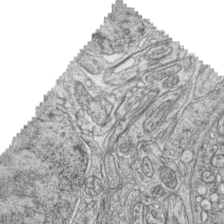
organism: Zebrafish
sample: synaptic ribbons in rod cells and cone cells